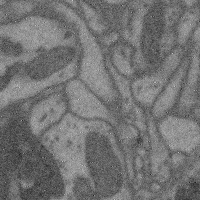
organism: Mouse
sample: Cerebral cortex